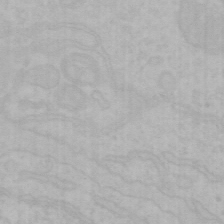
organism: Mouse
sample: Choroid plexus